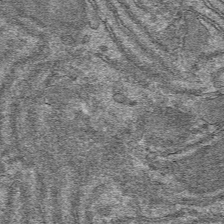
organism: Mouse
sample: Mouse hepatocytes